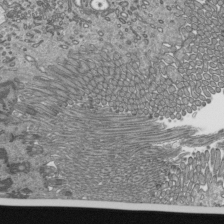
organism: Mouse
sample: Mouse epididymis efferent ductule cilia